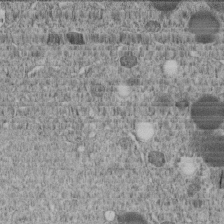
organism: C. elegans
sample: C. elegans embryo early stage